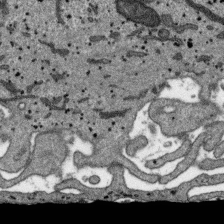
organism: Human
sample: Lung epithelial cells, uninfected (mock) control